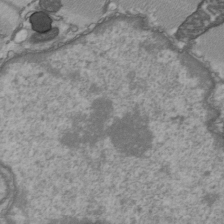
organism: C57BL Mouse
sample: Heart